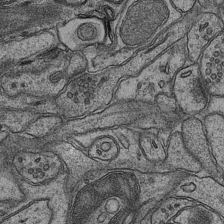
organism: Mouse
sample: CA1 Hippocampus